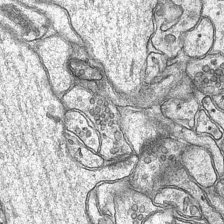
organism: Mouse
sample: CA1 Hippocampus